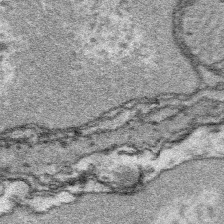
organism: Platynereis dumerilii